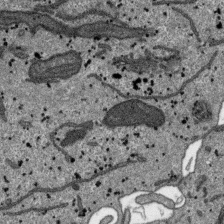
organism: Human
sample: Lung epithelial cells, uninfected (mock) control